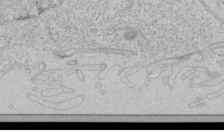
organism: Human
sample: Mitochondria in HCT116 cells